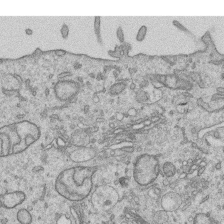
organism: Human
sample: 1205lu cells